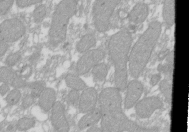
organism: Xenopus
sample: Cilia; centrioles in frog embryo cells